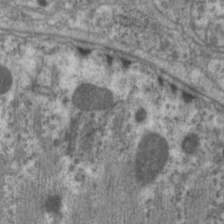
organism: C. elegans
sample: Pharynx